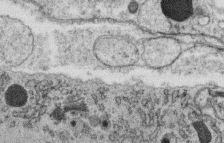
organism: C. elegans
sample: C. elegans oocyte; sperm cells